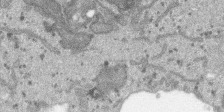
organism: Human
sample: Lung epithelial cells infected with SARS-CoV-2